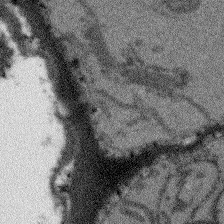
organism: Arabidopsis thaliana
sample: Root tip